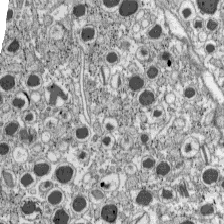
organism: C57BL Mouse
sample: Pancreatic islet